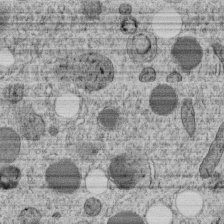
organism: C. elegans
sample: C. elegans embryo early stage